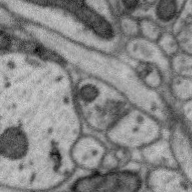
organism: Zebra finch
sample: Brain